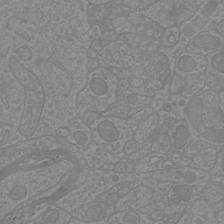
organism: Mouse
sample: Cortical neurons